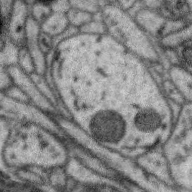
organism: Zebra finch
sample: Brain